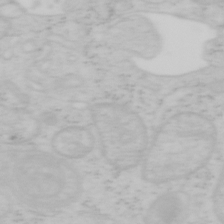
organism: Mouse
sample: OT-I killer T cells with ID8 ovarian cancer cells